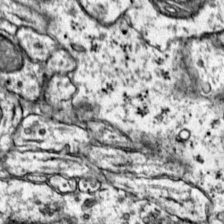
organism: Mouse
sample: Primary visual cortex